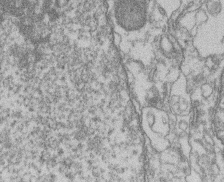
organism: Mouse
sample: T cell stromal cell synapse